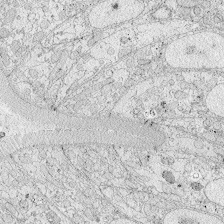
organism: Zebrafish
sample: Whole-Brain